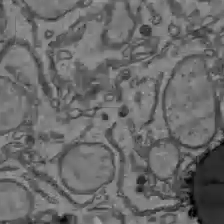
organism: C57BL Mouse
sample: Liver